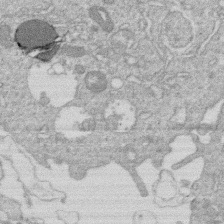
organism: Human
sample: Macrophage cells